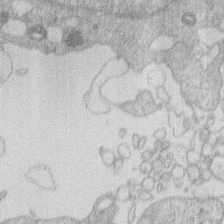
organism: Human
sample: Macrophage cells